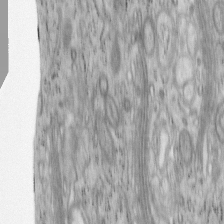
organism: Human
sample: HeLa cells